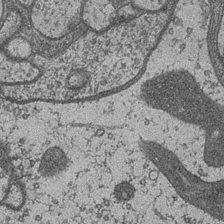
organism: Drosophila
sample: Optic medulla